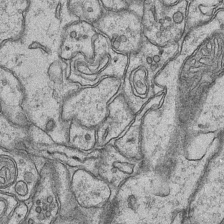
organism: Mouse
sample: CA1 Hippocampus